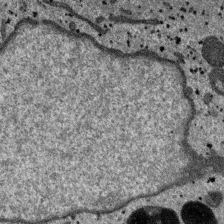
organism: Human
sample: Lung epithelial cells, uninfected (mock) control